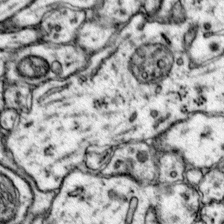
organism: Mouse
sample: Primary visual cortex